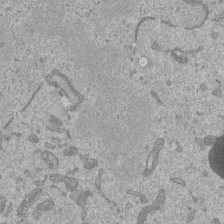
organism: Mouse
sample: ED-1 cell nuclei; centrioles